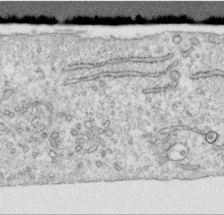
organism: Human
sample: Centriole in RPE cells